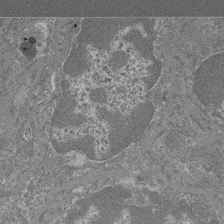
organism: Mouse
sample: Glomerulus